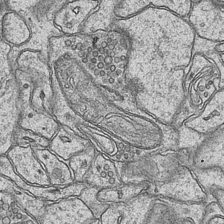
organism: Mouse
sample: CA1 Hippocampus